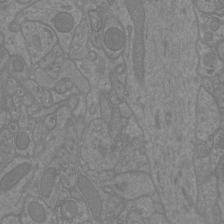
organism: Mouse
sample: Cortical neurons